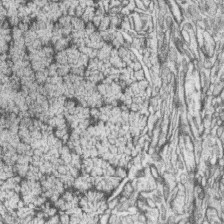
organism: Zebrafish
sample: synaptic ribbons in rod cells and cone cells